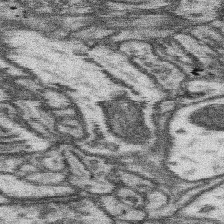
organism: Mouse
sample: Somatosensory cortex neuropil